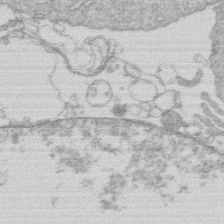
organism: Human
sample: Macrophage cells